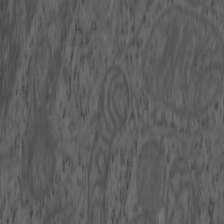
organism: Human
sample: HeLa cells